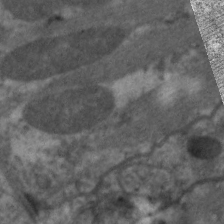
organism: C. elegans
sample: Pharynx